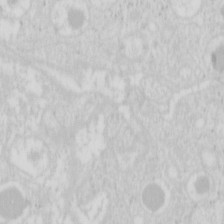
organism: Mouse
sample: Pancreas